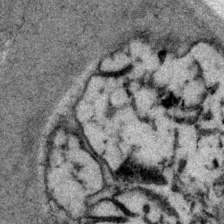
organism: P. pacificus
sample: Pharynx